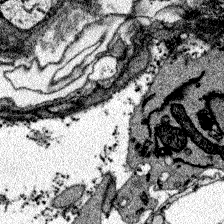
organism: Zebrafish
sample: Larval olfactory bulb